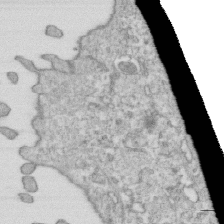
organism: Mouse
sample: Activated OT-1 CD8+ T cells